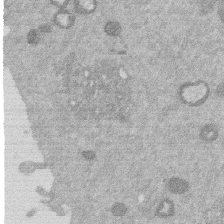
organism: Mouse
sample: Dividing mouse embryo 1 cell stage